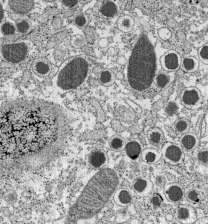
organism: C57BL Mouse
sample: Pancreatic islet